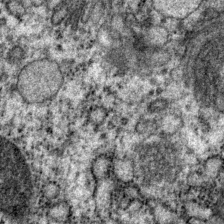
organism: P. pacificus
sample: Pharynx